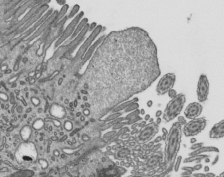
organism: Mouse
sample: Mouse epididymis efferent ductule cilia